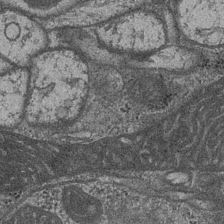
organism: Drosophila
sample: Optic medulla